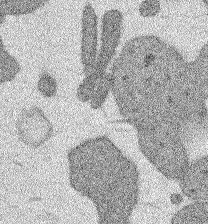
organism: Human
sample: HeLa cells